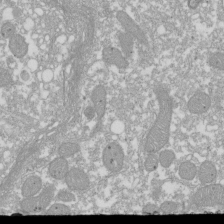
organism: Xenopus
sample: Cilia; centrioles in frog embryo cells